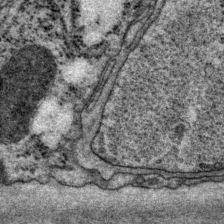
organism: P. pacificus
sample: Pharynx